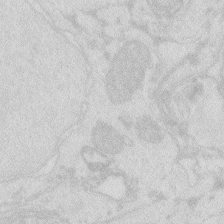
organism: Zebrafish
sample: Macrophage